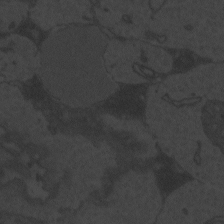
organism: Zebrafish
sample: Macrophage infected with Toxoplasma gondii